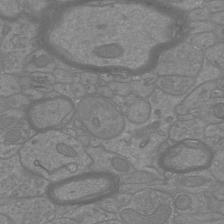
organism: Mouse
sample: Cortical neurons